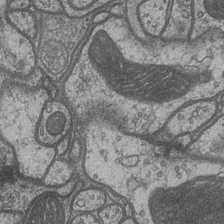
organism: Drosophila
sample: Optic medulla